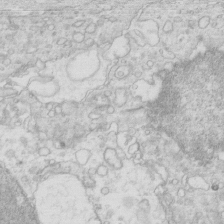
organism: Mouse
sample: Multiciliated cells